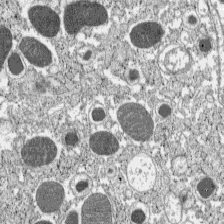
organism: C57BL Mouse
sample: Pancreatic islet